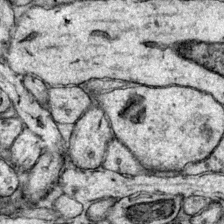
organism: Mouse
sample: Primary visual cortex